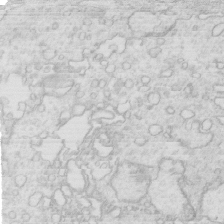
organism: Mouse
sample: Multiciliated cells